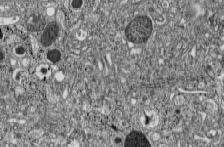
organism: C57BL Mouse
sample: Pancreatic islet